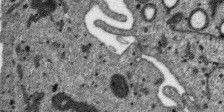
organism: Human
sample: Lung epithelial cells infected with SARS-CoV-2